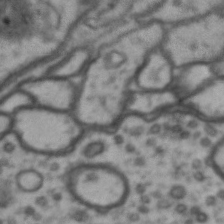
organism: Drosophila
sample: Brain